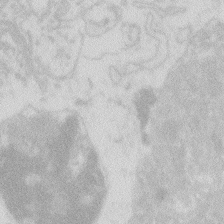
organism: Zebrafish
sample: Macrophage